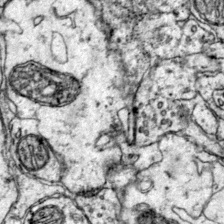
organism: Mouse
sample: Primary visual cortex